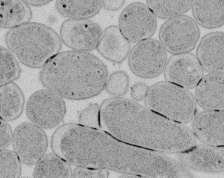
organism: E. coli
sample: Bacterial nucleoid